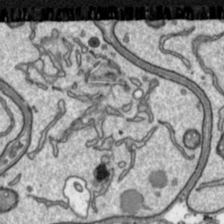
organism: Toxoplasma gondii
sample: Parasites in a vacuole inside a host cell